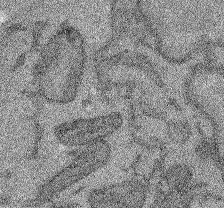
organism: Human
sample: HeLa cells